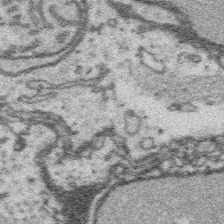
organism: Platynereis dumerilii